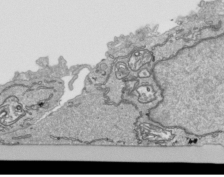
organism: Human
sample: Mitochondria in HCT116 cells